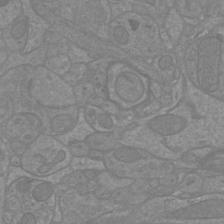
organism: Mouse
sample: Cortical neurons